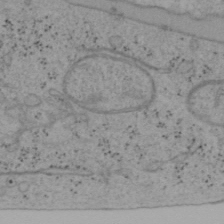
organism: Human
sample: HeLa cells